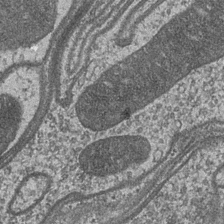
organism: Drosophila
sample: Optic medulla